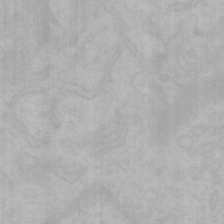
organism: Mouse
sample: Choroid plexus